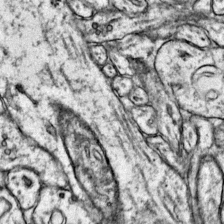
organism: Mouse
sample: Primary visual cortex